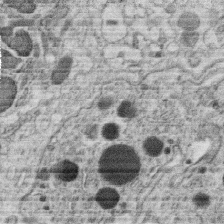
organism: C. elegans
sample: C. elegans oocyte; sperm cells